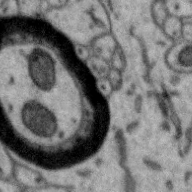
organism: Zebra finch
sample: Brain